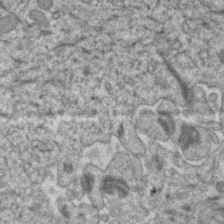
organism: Human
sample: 1205lu cells